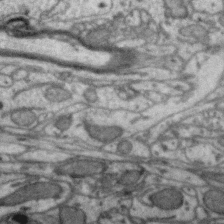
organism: Zebra finch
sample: Brain